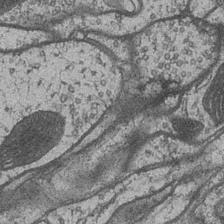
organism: Drosophila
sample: Optic medulla